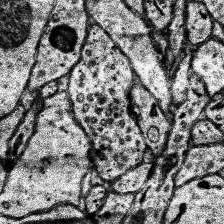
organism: Human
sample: Temporal Lobe